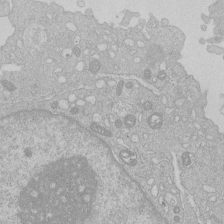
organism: Human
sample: Macrophage cells